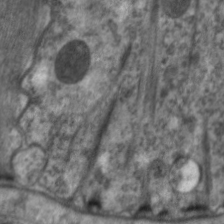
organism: C. elegans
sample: Pharynx